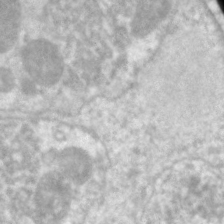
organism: C. elegans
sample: Pharynx